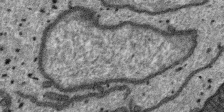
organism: Human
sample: Lung epithelial cells, uninfected (mock) control